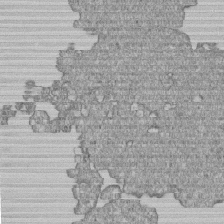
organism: Human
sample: MDA-MB-231 cells